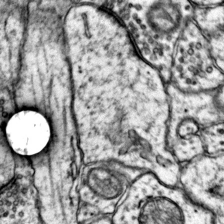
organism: Mouse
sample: Primary visual cortex